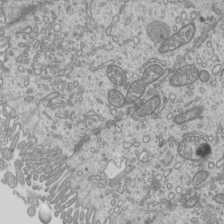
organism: Mouse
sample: Cilia; mouse epididymis